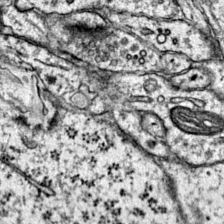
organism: Mouse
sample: Primary visual cortex